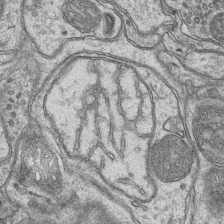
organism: Mouse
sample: CA1 Hippocampus